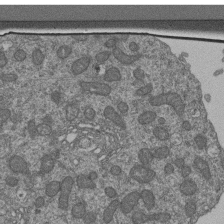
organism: Human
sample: Retinal organoid Rod and Cone cells